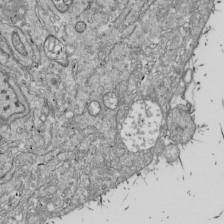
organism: Drosophila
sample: Cell division; meiosis; drosophila spermatocytes